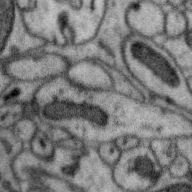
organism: Zebra finch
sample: Brain